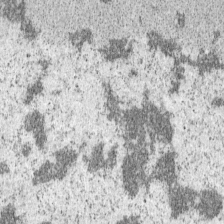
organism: Mouse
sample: OT-I killer T cells with ID8 ovarian cancer cells